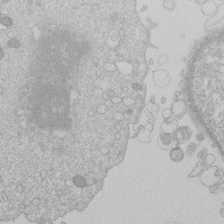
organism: Human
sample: Macrophage cells